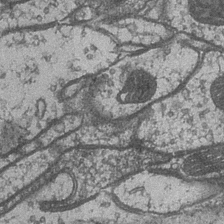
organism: Drosophila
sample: Optic medulla